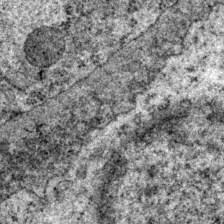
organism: P. pacificus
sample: Pharynx